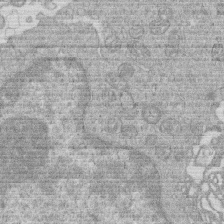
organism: Human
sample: Macrophage cells